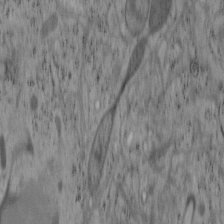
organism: Human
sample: HeLa cells